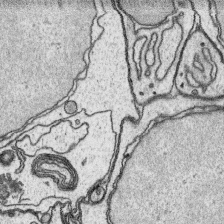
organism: Platynereis dumerilii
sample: Parapodia